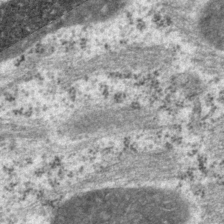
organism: P. pacificus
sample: Pharynx